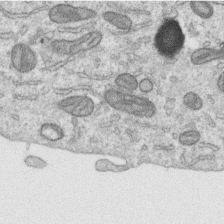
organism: Human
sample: Centriole in RPE cells